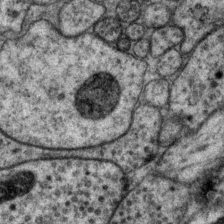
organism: P. pacificus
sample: Pharynx